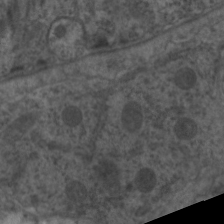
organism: C. elegans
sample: Pharynx